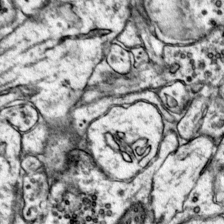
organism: Mouse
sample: Primary visual cortex